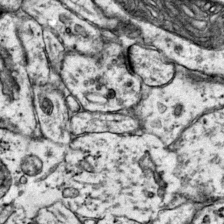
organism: Mouse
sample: Primary visual cortex